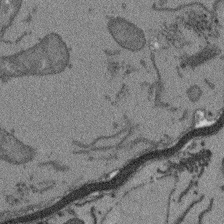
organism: Arabidopsis thaliana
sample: Root tip